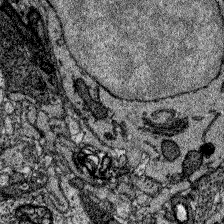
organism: Zebrafish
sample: Larval olfactory bulb